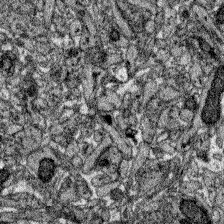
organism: Zebrafish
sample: Larval olfactory bulb